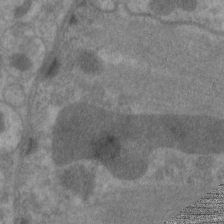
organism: C. elegans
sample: Pharynx